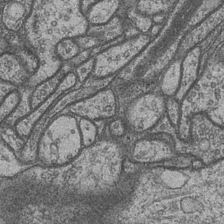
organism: Drosophila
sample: Optic medulla